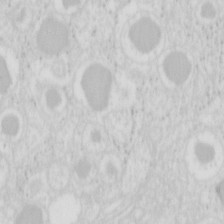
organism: Mouse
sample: Pancreas